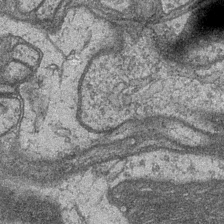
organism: Drosophila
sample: Optic medulla